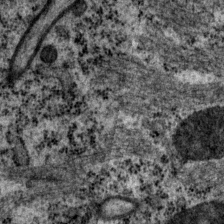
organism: P. pacificus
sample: Pharynx